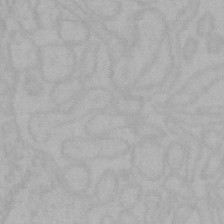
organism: Mouse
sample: Choroid plexus